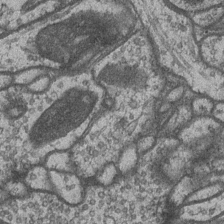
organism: Drosophila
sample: Optic medulla